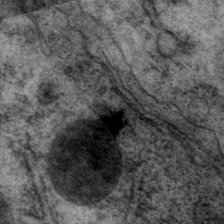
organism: P. pacificus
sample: Pharynx